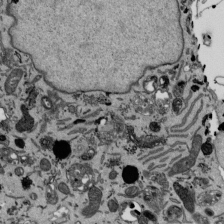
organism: Mouse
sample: ED-1 cell nuclei; centrioles